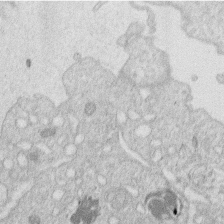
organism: Human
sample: Macrophage cells